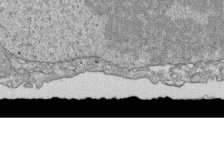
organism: Human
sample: HeLa cell HIV synapse